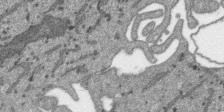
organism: Human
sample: Lung epithelial cells infected with SARS-CoV-2